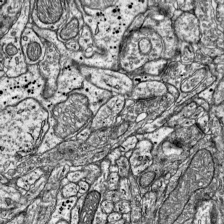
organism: Mouse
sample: Visual Cortex